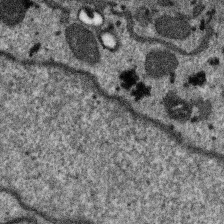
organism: Human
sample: Lung epithelial cells infected with SARS-CoV-2